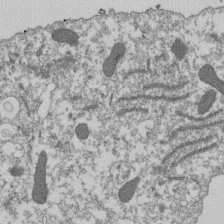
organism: Dictyostelium discoideum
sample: Dictyostelium multivesicular bodies